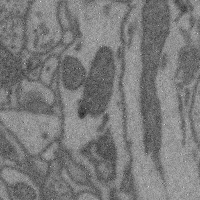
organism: Mouse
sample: Cerebral cortex